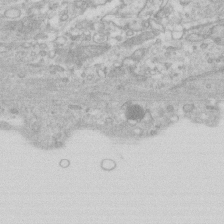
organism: Human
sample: Fibroblast cells